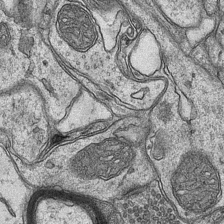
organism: Mouse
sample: CA1 Hippocampus